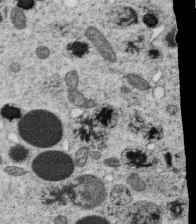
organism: C. elegans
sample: C. elegans oocyte; sperm cells